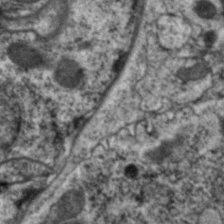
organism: C. elegans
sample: Pharynx